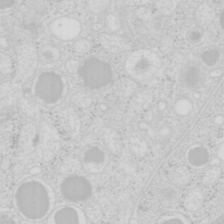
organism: Mouse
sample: Pancreas